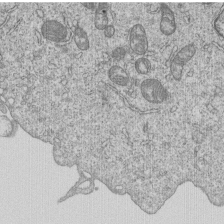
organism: Human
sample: MDA-MB-231 cells